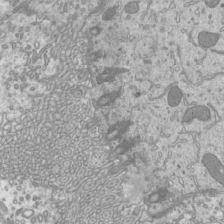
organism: Mouse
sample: Cilia; mouse epididymis